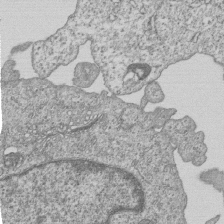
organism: Human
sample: MDA-MB-231 cells